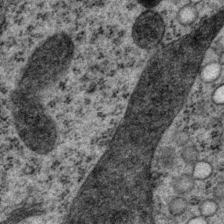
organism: P. pacificus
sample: Pharynx